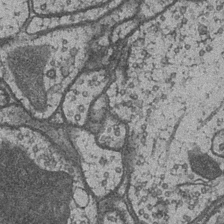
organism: Drosophila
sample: Optic medulla